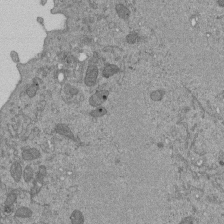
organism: Mouse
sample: ED-1 cell nuclei; centrioles